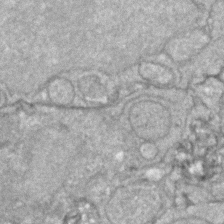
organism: Zebrafish